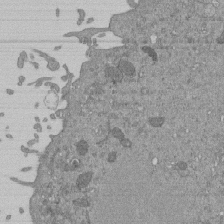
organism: Mouse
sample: ED-1 cell nuclei; centrioles